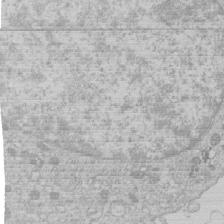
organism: Human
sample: Macrophage cells